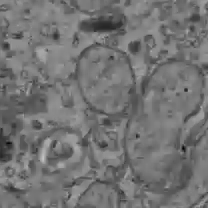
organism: C57BL Mouse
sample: Liver